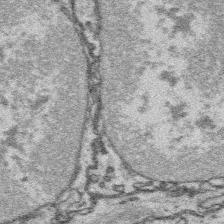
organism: Platynereis dumerilii